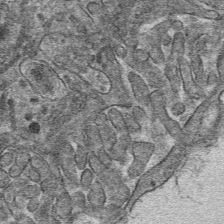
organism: Mouse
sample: Mouse hepatocytes